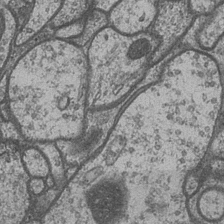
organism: Drosophila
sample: Optic medulla